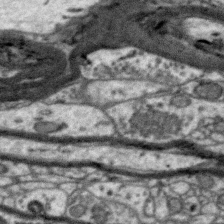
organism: Zebra finch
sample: Brain